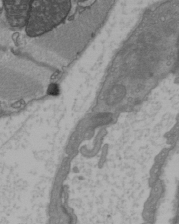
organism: C57BL Mouse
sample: Heart